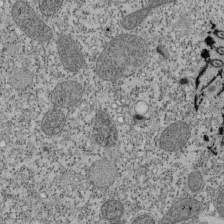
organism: Tetrahymena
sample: Cilia in tetrahymena